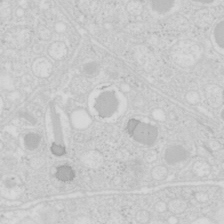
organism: Mouse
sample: Pancreas